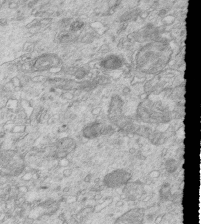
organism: Mouse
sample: Multiciliated cells